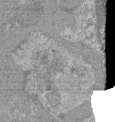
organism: Mouse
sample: Glomerulus